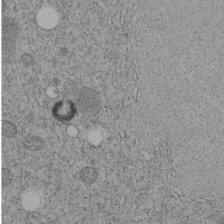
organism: C. elegans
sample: C. elegans embryo early stage